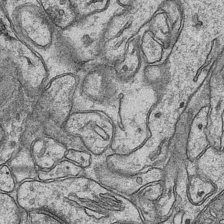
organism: Mouse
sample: CA1 Hippocampus